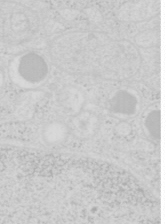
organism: Mouse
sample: Pancreas